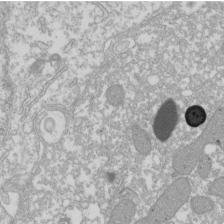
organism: Xenopus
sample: Cilia; centrioles in frog embryo cells